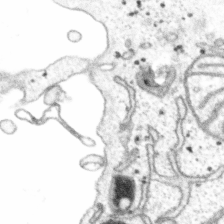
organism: Human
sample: HeLa cells